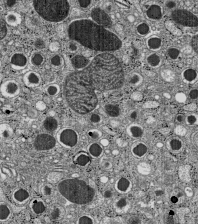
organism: C57BL Mouse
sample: Pancreatic islet